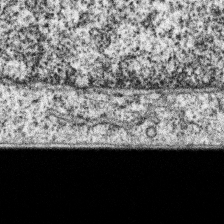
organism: Human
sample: HeLa cells